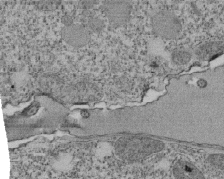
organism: Tetrahymena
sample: Cilia in tetrahymena